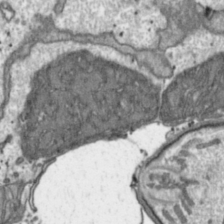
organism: Toxoplasma gondii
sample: Parasites in a vacuole inside a host cell